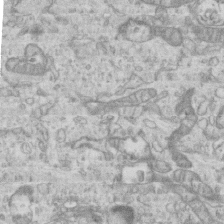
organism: Mouse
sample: Centriole in ependymal cells